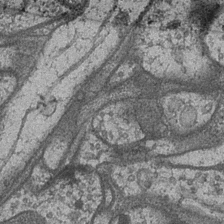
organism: Drosophila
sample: Optic medulla